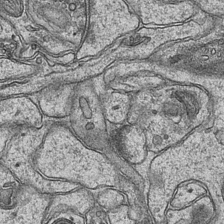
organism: Mouse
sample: CA1 Hippocampus